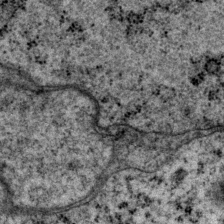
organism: P. pacificus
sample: Pharynx